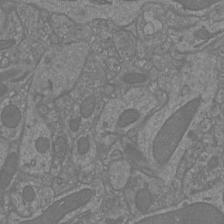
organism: Mouse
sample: Cortical neurons